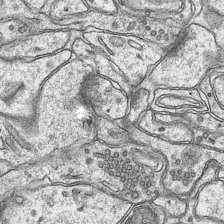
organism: Mouse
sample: CA1 Hippocampus